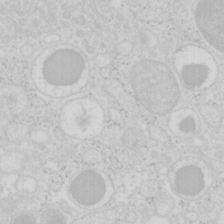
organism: Mouse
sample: Pancreas